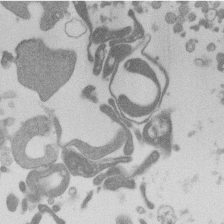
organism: Mouse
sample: Dividing mouse embryo 1 cell stage